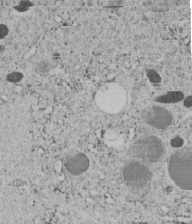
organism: C. elegans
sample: C. elegans embryo early stage